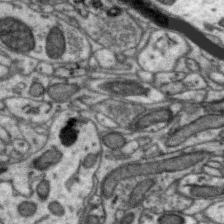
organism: Zebra finch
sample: Brain